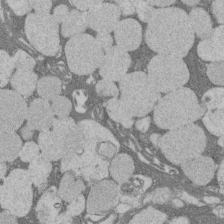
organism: Rat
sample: Salivary granule